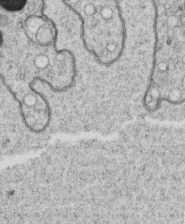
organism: C. elegans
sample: C. elegans oocyte; sperm cells